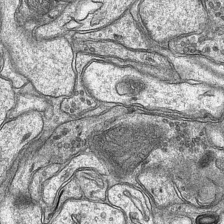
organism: Mouse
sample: CA1 Hippocampus